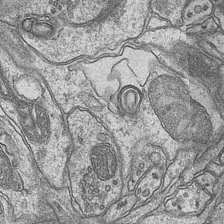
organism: Mouse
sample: CA1 Hippocampus